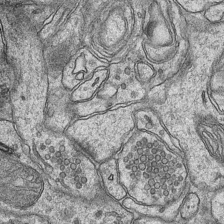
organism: Mouse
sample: CA1 Hippocampus